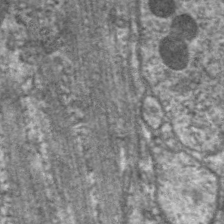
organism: C. elegans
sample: Pharynx